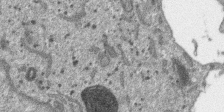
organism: Human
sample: Lung epithelial cells infected with SARS-CoV-2